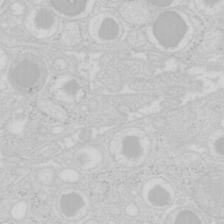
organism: Mouse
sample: Pancreas